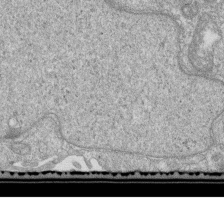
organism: Human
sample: HeLa cell HIV synapse